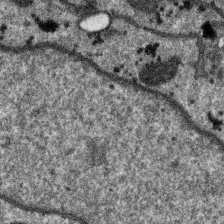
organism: Human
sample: Lung epithelial cells infected with SARS-CoV-2